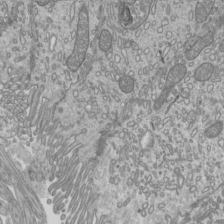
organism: Mouse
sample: Cilia; mouse epididymis